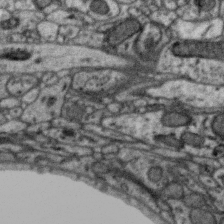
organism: Zebra finch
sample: Brain